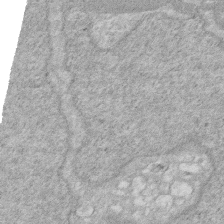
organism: Human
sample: HIV infected U937 cells